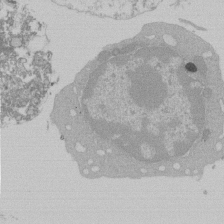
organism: Mouse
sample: Activated Pmel transgenic CD8+ T Cells